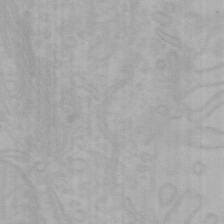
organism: Mouse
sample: Choroid plexus